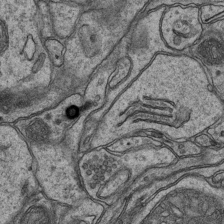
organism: Mouse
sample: CA1 Hippocampus